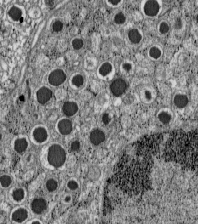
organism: C57BL Mouse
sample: Pancreatic islet